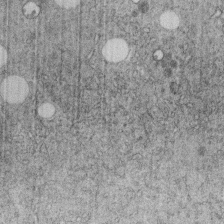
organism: C. elegans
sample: C. elegans embryo early stage